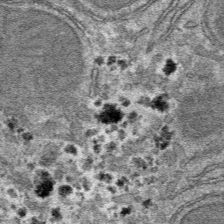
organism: Mouse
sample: Mouse hepatocytes